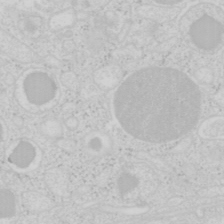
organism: Mouse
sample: Pancreas